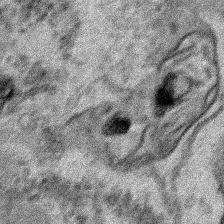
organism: Human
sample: Mitochondria in HCT116 cells